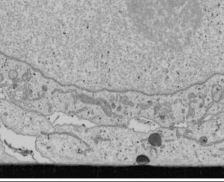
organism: Human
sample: Mitochondria in U2OS cells